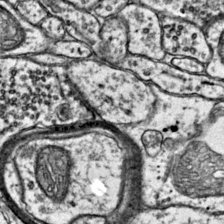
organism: Mouse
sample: Primary visual cortex